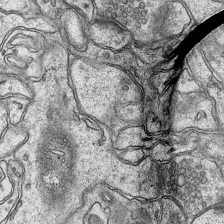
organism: Mouse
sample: CA1 Hippocampus